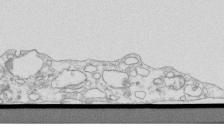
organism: Mouse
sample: Macrophages